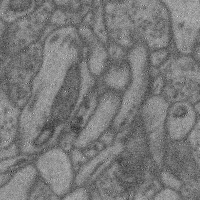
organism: Mouse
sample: Cerebral cortex